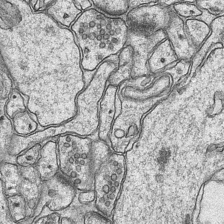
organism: Mouse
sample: CA1 Hippocampus